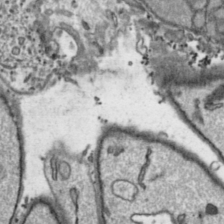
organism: Toxoplasma gondii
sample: Parasites in a vacuole inside a host cell